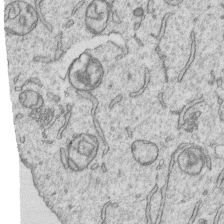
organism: Human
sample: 1205lu cells